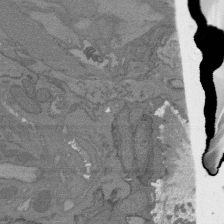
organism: C. elegans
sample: AFD neurons C. elegans